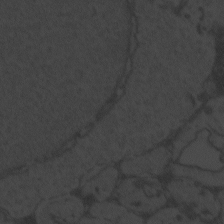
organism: Zebrafish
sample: Macrophage infected with Toxoplasma gondii